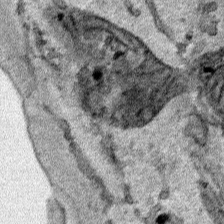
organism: Human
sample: Mitochondria in HCT116 cells